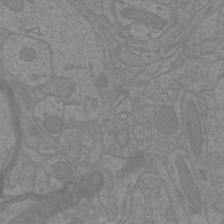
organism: Mouse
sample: Cortical neurons